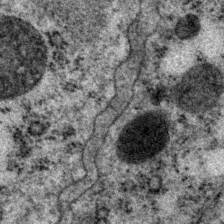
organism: P. pacificus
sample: Pharynx